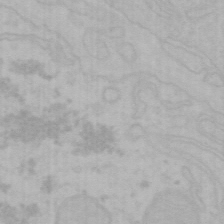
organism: Mouse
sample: Choroid plexus